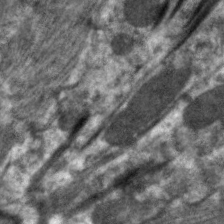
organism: C. elegans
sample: Pharynx